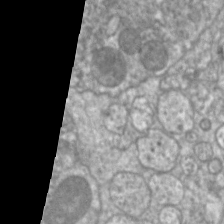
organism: C. elegans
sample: Pharynx